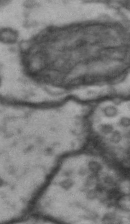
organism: Drosophila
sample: Brain